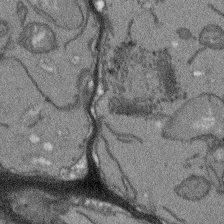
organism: Arabidopsis thaliana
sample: Root tip